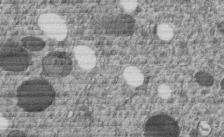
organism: C. elegans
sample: C. elegans embryo early stage